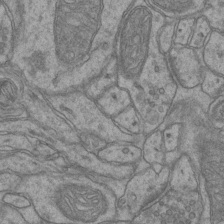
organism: Mouse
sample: CA1 Hippocampus